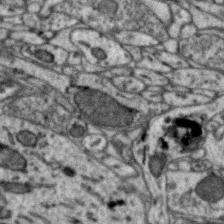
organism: Zebra finch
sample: Brain